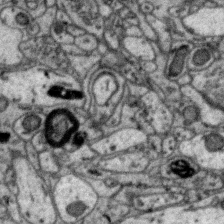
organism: Zebra finch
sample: Brain